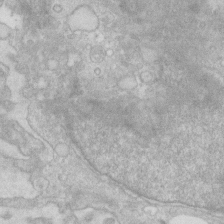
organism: Human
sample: Fibroblast cells